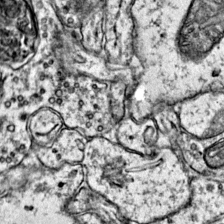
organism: Mouse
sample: Primary visual cortex